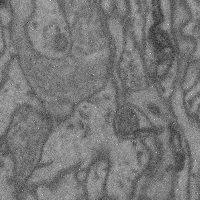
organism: Mouse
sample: Cerebral cortex